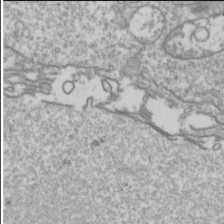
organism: Drosophila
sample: Cell division; meiosis; drosophila spermatocytes